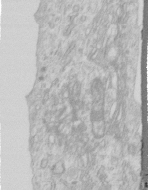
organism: Human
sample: Centriole in RPE cells